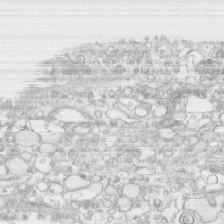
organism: Human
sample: CRL-1474